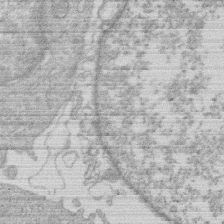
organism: Human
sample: Macrophage cells